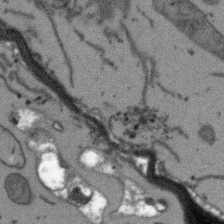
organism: Arabidopsis thaliana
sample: Root tip